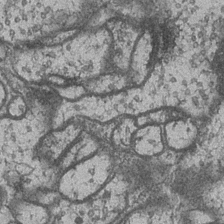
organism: Drosophila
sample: Optic medulla